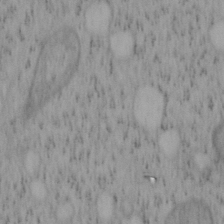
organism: Mouse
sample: OT-I killer T cells with ID8 ovarian cancer cells